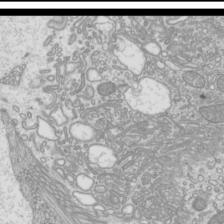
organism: Mouse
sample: Cilia; mouse epididymis